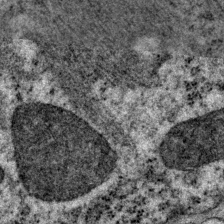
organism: P. pacificus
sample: Pharynx